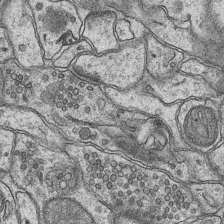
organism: Mouse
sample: CA1 Hippocampus